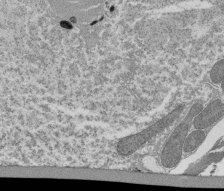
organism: Tetrahymena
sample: Cilia in tetrahymena